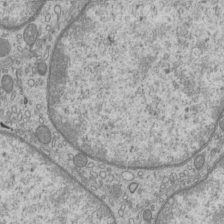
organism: Mouse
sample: Cilia; mouse epididymis